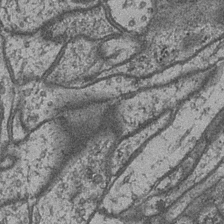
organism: Drosophila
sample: Optic medulla